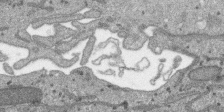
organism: Human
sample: Lung epithelial cells infected with SARS-CoV-2